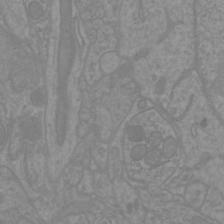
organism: Mouse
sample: Cortical neurons